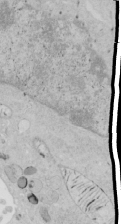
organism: Human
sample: Mitochondria in HCT116 cells